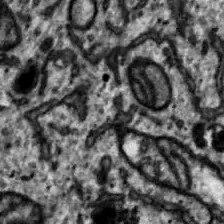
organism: Human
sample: HeLa cells